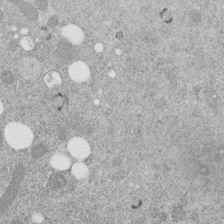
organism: C. elegans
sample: C. elegans embryo early stage